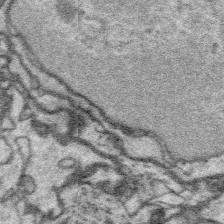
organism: Platynereis dumerilii